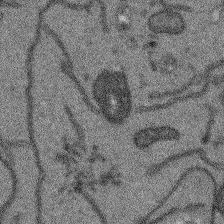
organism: Arabidopsis thaliana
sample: Root tip